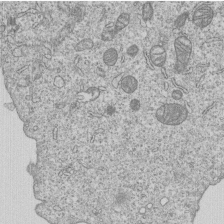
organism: Human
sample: MDA-MB-231 cells